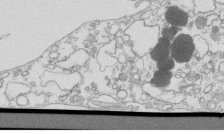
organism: Mouse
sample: Macrophages